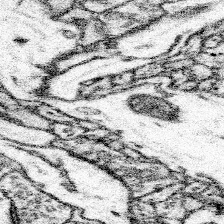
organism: Mouse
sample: Somatosensory cortex neuropil